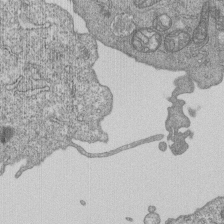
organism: Human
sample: MDA-MB-231 cells